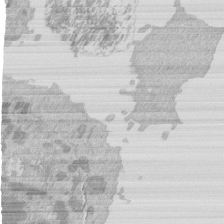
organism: Mouse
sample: Activated Pmel transgenic CD8+ T Cells